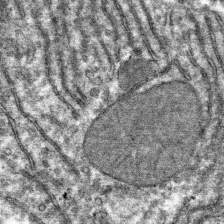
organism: Mouse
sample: Mouse hepatocytes